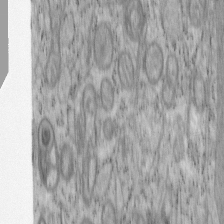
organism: Human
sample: HeLa cells